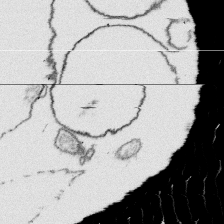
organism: Platynereis dumerilii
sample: Parapodia